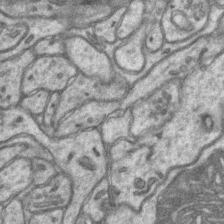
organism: Mouse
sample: CA1 Hippocampus